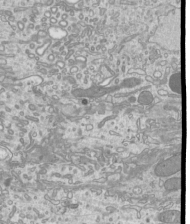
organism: Mouse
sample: Cilia; mouse epididymis